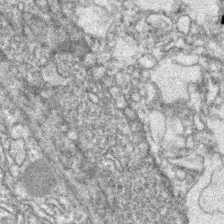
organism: Zebrafish